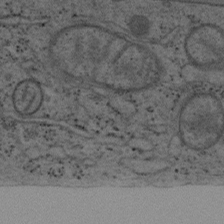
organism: Human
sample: HeLa cells